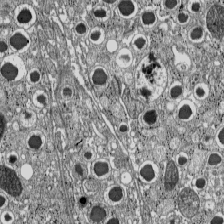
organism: C57BL Mouse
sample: Pancreatic islet